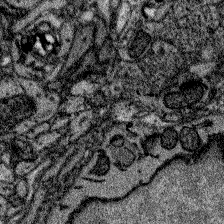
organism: Zebrafish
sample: Larval olfactory bulb